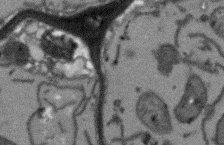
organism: Arabidopsis thaliana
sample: Root tip